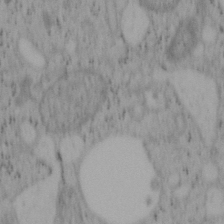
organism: Mouse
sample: OT-I killer T cells with ID8 ovarian cancer cells